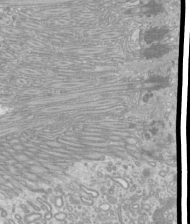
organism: Mouse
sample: Cilia; mouse epididymis